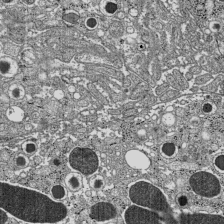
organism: C57BL Mouse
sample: Pancreatic islet